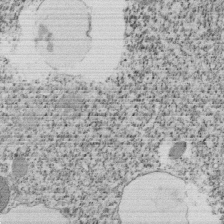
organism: Tetrahymena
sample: Cilia in tetrahymena